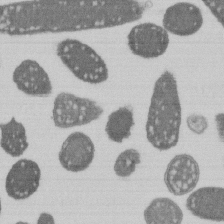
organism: E. coli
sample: Bacterial nucleoid